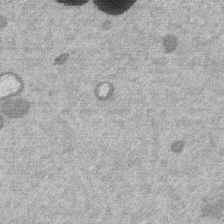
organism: Mouse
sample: Dividing mouse embryo 1 cell stage